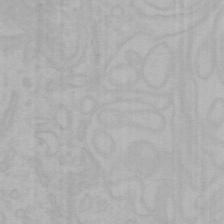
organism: Mouse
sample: Choroid plexus